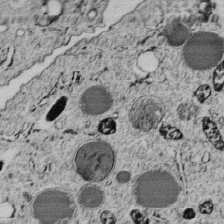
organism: C. elegans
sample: C. elegans embryo early stage